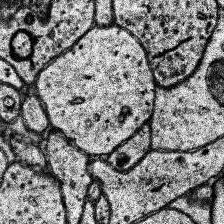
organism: Human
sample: Temporal Lobe